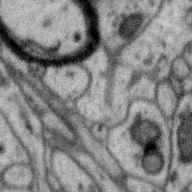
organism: Zebra finch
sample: Brain